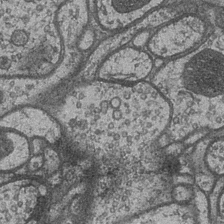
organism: Drosophila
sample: Optic medulla